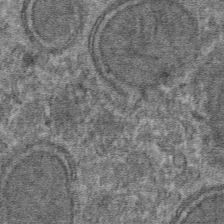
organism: Mouse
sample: Mouse hepatocytes